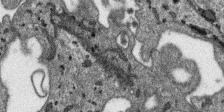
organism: Human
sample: Lung epithelial cells infected with SARS-CoV-2